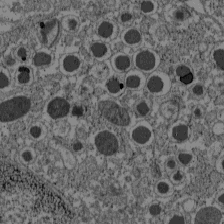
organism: C57BL Mouse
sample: Pancreatic islet